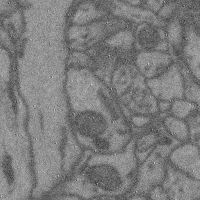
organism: Mouse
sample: Cerebral cortex